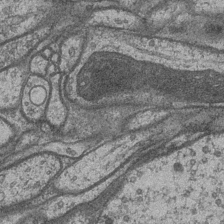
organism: Drosophila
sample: Optic medulla